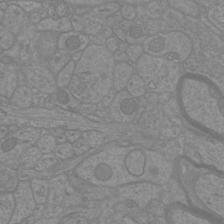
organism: Mouse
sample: Cortical neurons